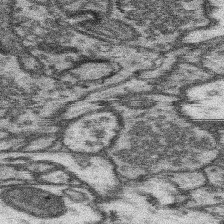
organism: Mouse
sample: Somatosensory cortex neuropil